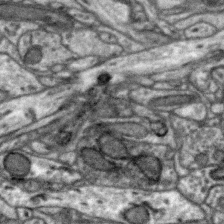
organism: Zebra finch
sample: Brain